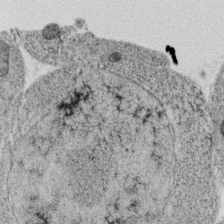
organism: C. elegans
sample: C. elegans oocyte; sperm cells